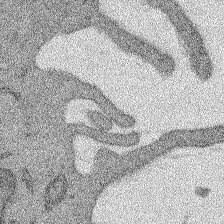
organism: Human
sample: HeLa cells